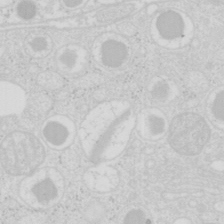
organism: Mouse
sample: Pancreas